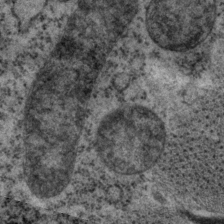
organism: P. pacificus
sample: Pharynx